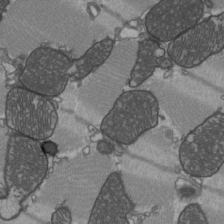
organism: C57BL Mouse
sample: Heart